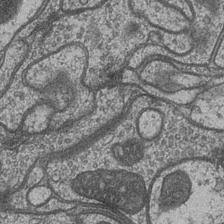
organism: Drosophila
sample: Optic medulla